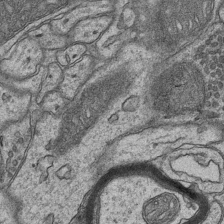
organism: Mouse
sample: CA1 Hippocampus